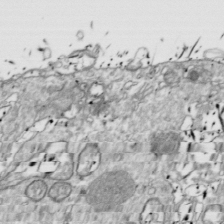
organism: Drosophila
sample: Cell division; meiosis; drosophila spermatocytes